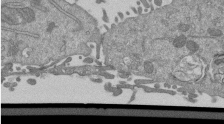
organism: Mouse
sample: ED-1 cell nuclei; centrioles